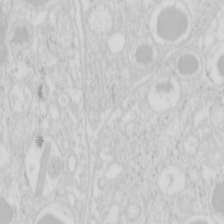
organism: Mouse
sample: Pancreas